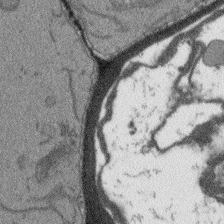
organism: Arabidopsis thaliana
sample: Root tip